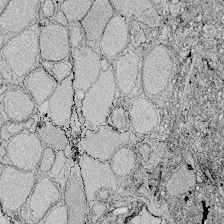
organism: Zebrafish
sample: Whole-Brain